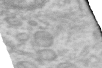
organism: Human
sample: Centriole in RPE cells